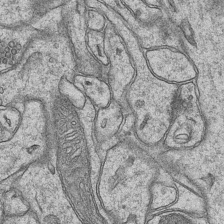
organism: Mouse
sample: CA1 Hippocampus